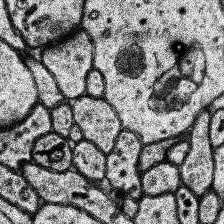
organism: Human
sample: Temporal Lobe